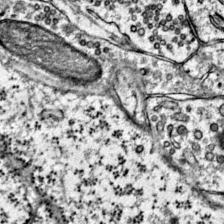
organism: Mouse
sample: Primary visual cortex